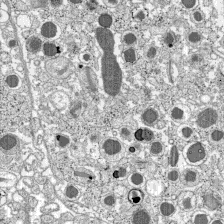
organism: C57BL Mouse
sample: Pancreatic islet